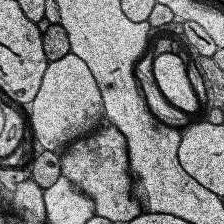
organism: Human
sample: Temporal Lobe